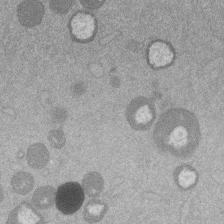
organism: Mouse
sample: Dividing mouse embryo 1 cell stage